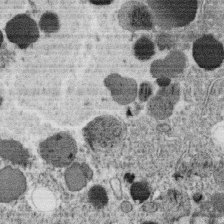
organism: C. elegans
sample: C. elegans oocyte; sperm cells